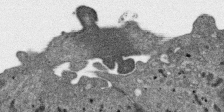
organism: Human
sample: Lung epithelial cells, uninfected (mock) control